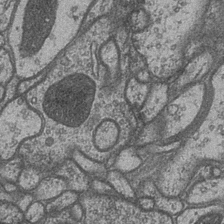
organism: Drosophila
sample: Optic medulla